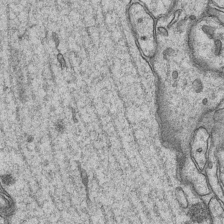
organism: Mouse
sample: CA1 Hippocampus